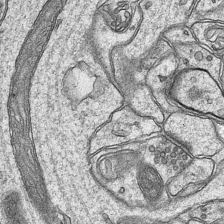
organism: Mouse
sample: CA1 Hippocampus